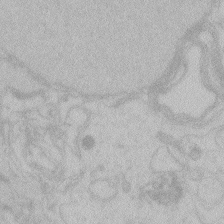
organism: Zebrafish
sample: Macrophage infected with Toxoplasma gondii